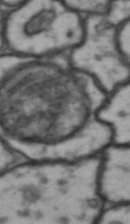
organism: Drosophila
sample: Brain